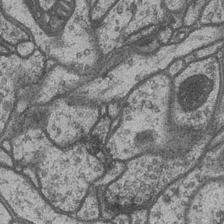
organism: Drosophila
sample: Optic medulla